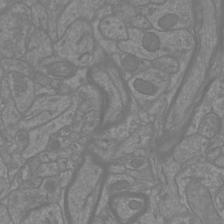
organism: Mouse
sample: Cortical neurons